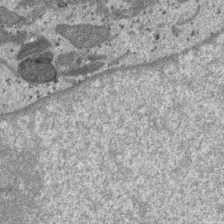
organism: Human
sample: Lung epithelial cells infected with SARS-CoV-2